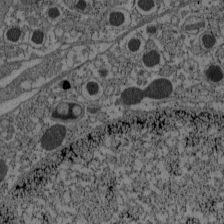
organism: C57BL Mouse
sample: Pancreatic islet